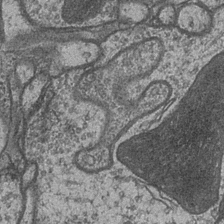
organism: Drosophila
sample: Optic medulla